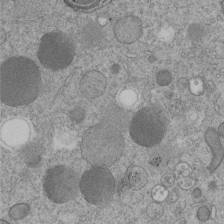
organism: C. elegans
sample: C. elegans embryo early stage